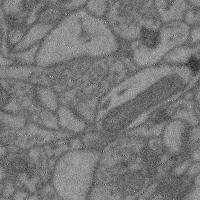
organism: Mouse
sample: Cerebral cortex